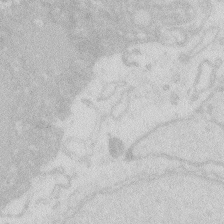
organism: Zebrafish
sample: Macrophage